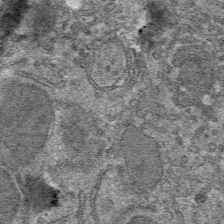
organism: Mouse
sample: Mouse hepatocytes